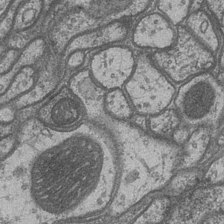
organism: Drosophila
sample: Optic medulla